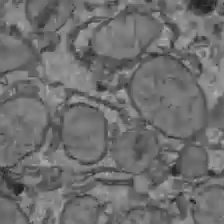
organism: C57BL Mouse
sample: Liver